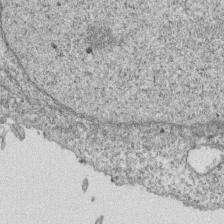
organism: Human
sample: HeLa cell HIV synapse